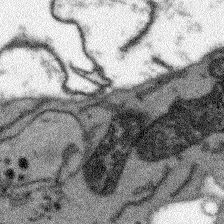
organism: Arabidopsis thaliana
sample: Root tip